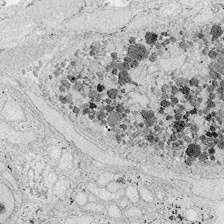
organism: Zebrafish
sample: Whole-Brain